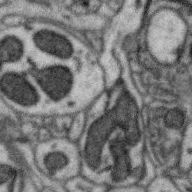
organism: Zebra finch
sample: Brain